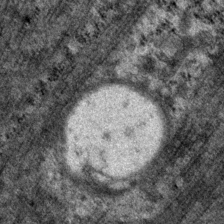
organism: P. pacificus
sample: Pharynx